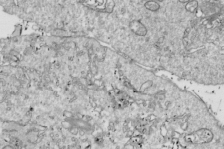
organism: Drosophila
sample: Cell division; meiosis; drosophila spermatocytes